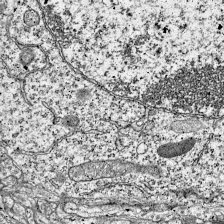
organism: Mouse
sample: Visual Cortex